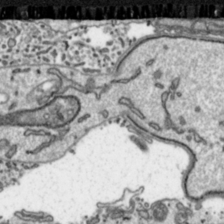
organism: Toxoplasma gondii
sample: Parasites in a vacuole inside a host cell